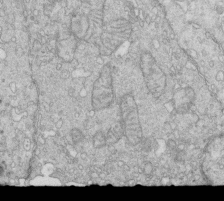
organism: Mouse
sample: Multiciliated cells